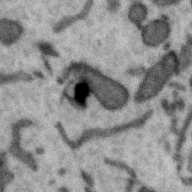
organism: Zebra finch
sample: Brain